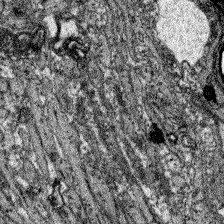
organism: Zebrafish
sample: Larval olfactory bulb